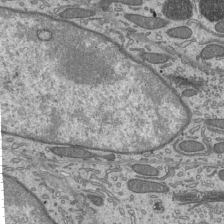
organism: Mouse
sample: Mouse epididymis efferent ductule cilia